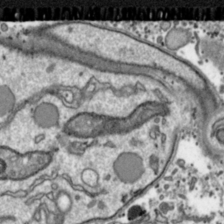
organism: Toxoplasma gondii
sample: Parasites in a vacuole inside a host cell